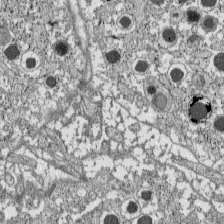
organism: C57BL Mouse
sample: Pancreatic islet